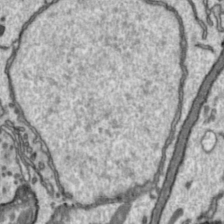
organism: Toxoplasma gondii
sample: Parasites in a vacuole inside a host cell